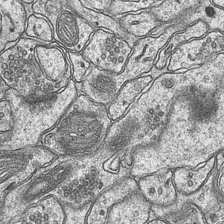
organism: Mouse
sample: CA1 Hippocampus